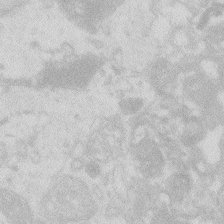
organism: Zebrafish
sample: Macrophage